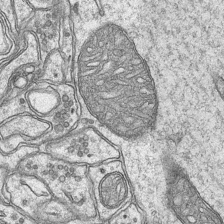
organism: Mouse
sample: CA1 Hippocampus